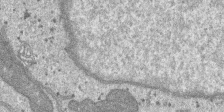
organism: Human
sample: Lung epithelial cells infected with SARS-CoV-2